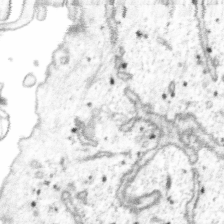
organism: Human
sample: HeLa cells